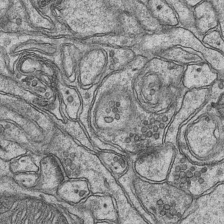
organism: Mouse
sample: CA1 Hippocampus